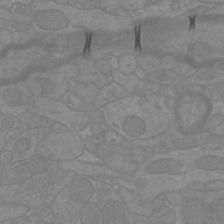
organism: Mouse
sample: Cortical neurons